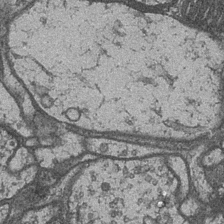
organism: Drosophila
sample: Optic medulla